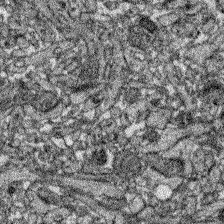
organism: Zebrafish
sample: Larval olfactory bulb